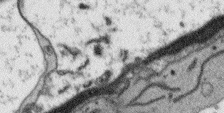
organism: Arabidopsis thaliana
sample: Root tip